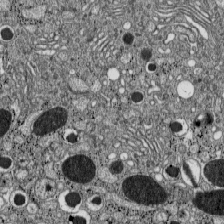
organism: C57BL Mouse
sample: Pancreatic islet